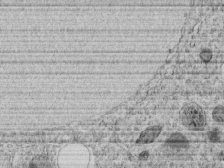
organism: C. elegans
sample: C. elegans embryo early stage